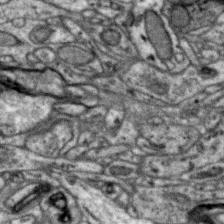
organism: Zebra finch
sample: Brain